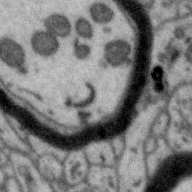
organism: Zebra finch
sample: Brain